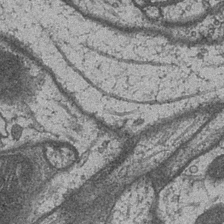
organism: Drosophila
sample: Optic medulla